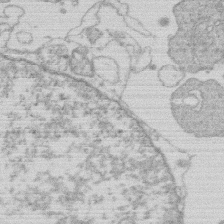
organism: Human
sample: Macrophage cells